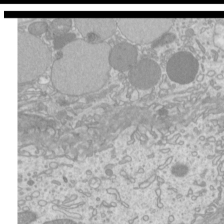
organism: Mouse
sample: Cilia; mouse epididymis